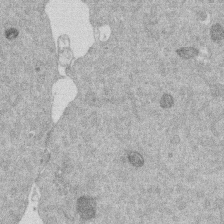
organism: Mouse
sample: Dividing mouse embryo 1 cell stage